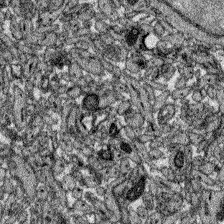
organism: Zebrafish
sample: Larval olfactory bulb